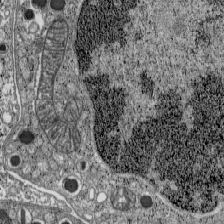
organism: C57BL Mouse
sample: Pancreatic islet